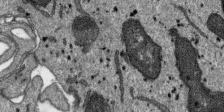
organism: Human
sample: Lung epithelial cells, uninfected (mock) control